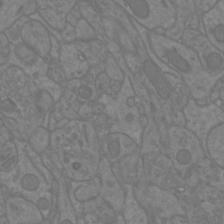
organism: Mouse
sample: Cortical neurons